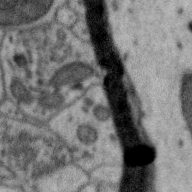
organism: Zebra finch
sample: Brain